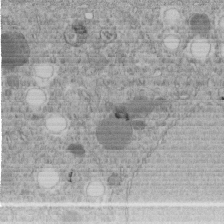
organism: C. elegans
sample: C. elegans embryo early stage